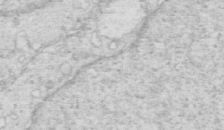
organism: Mouse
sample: Multiciliated cells